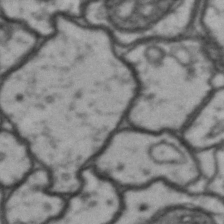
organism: Drosophila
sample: Brain